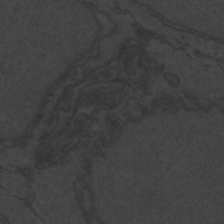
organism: Zebrafish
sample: Macrophage infected with Toxoplasma gondii